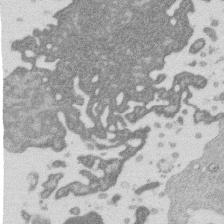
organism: Mouse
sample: Dividing mouse embryo 1 cell stage